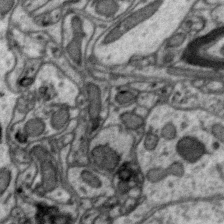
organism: Zebra finch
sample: Brain